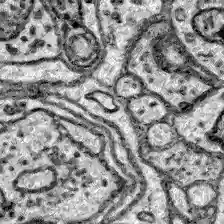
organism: Zebrafish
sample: Brain